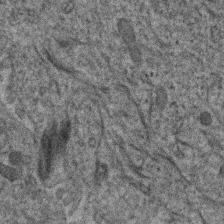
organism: Human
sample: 1205lu cells